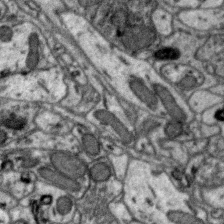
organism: Zebra finch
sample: Brain